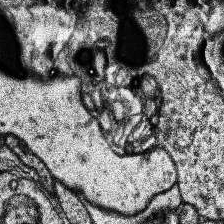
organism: Human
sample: Temporal Lobe